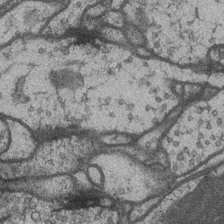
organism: Drosophila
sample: Optic medulla